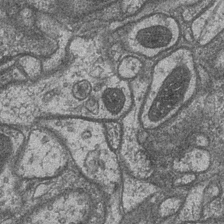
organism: Drosophila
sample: Optic medulla